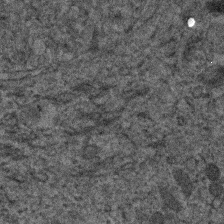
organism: Human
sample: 1205lu cells